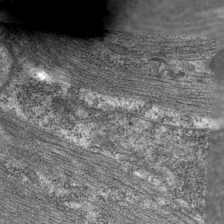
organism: C. elegans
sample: Pharynx